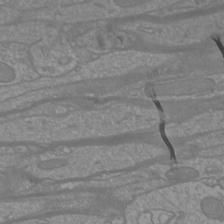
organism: Mouse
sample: Cortical neurons